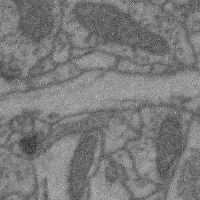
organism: Mouse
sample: Cerebral cortex